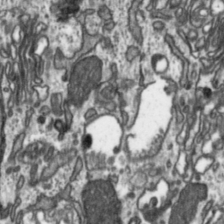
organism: Toxoplasma gondii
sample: Parasites in a vacuole inside a host cell